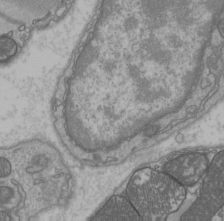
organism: C57BL Mouse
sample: Heart